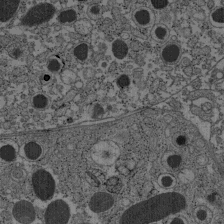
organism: C57BL Mouse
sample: Pancreatic islet